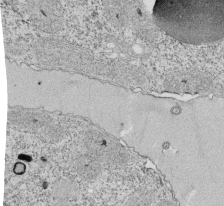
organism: Tetrahymena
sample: Cilia in tetrahymena